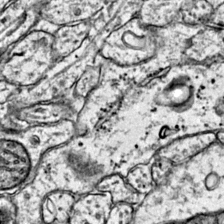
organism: Mouse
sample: Primary visual cortex